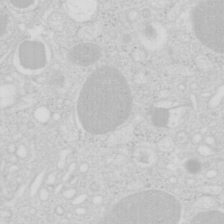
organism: Mouse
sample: Pancreas